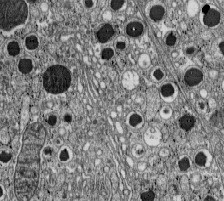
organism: C57BL Mouse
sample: Pancreatic islet